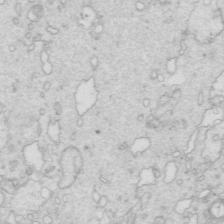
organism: Mouse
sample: Multiciliated cells